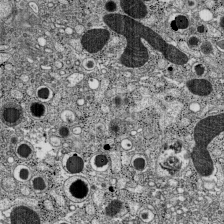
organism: C57BL Mouse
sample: Pancreatic islet